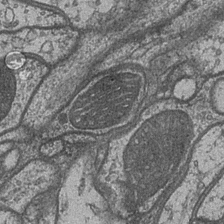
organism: Drosophila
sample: Optic medulla